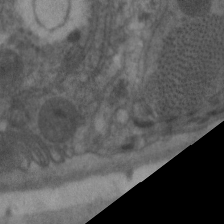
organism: C. elegans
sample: Pharynx